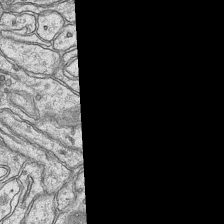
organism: Mouse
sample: CA1 Hippocampus